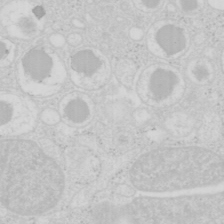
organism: Mouse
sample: Pancreas